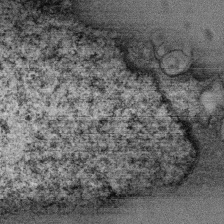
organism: African green monkey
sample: Vero E6 cells infected with SARS-CoV-2